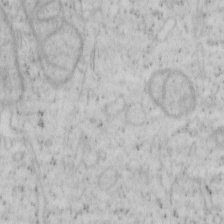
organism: Human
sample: HeLa cells